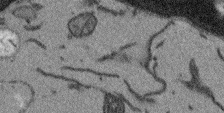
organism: Arabidopsis thaliana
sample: Root tip